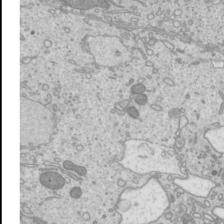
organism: Mouse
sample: Cilia; mouse epididymis